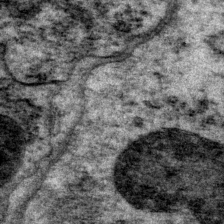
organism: P. pacificus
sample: Pharynx